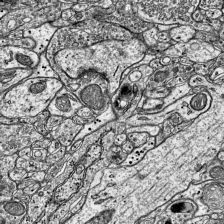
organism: Mouse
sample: Visual Cortex